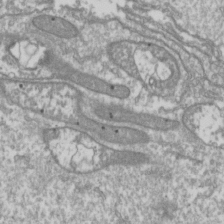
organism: Drosophila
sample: Cell division; meiosis; drosophila spermatocytes